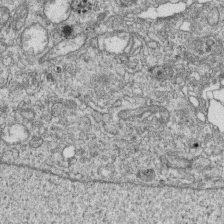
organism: Human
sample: HeLa cell HIV synapse